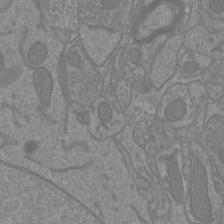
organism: Mouse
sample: Cortical neurons